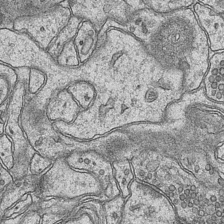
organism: Mouse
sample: CA1 Hippocampus